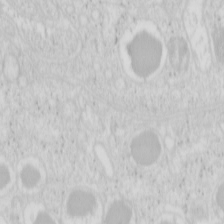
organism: Mouse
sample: Pancreas